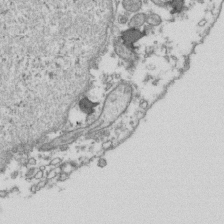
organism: Human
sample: Activated Jurkat CD4+ T cells